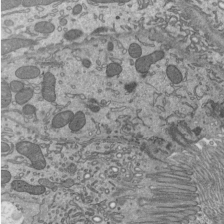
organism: Mouse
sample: Mouse epididymis efferent ductule cilia